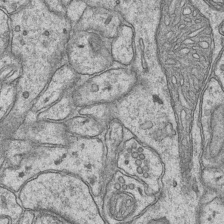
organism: Mouse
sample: CA1 Hippocampus